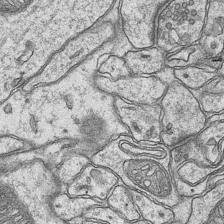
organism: Mouse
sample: CA1 Hippocampus